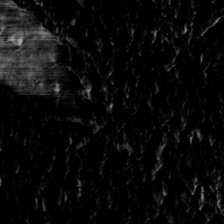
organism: Toxoplasma gondii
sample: Parasites in a vacuole inside a host cell